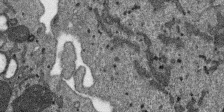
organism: Human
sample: Lung epithelial cells infected with SARS-CoV-2